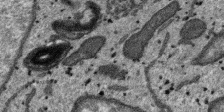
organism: Human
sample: Lung epithelial cells, uninfected (mock) control